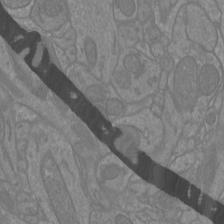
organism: Mouse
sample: Cortical neurons